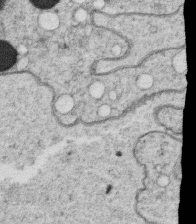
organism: C. elegans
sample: C. elegans oocyte; sperm cells